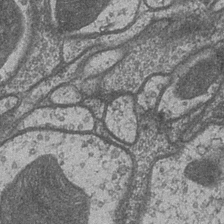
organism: Drosophila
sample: Optic medulla